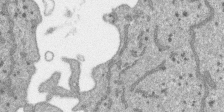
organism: Human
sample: Lung epithelial cells infected with SARS-CoV-2